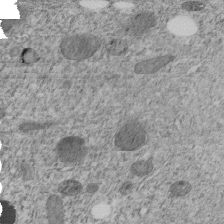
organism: C. elegans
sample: C. elegans embryo early stage